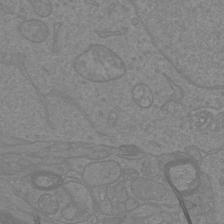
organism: Mouse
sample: Cortical neurons